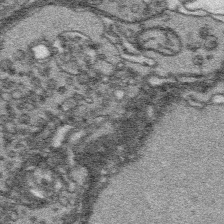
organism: Platynereis dumerilii